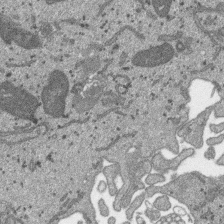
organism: Human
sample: Lung epithelial cells infected with SARS-CoV-2